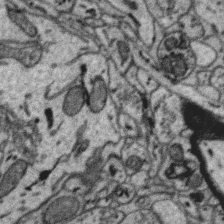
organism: Zebra finch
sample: Brain